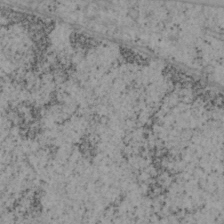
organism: Human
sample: HeLa cells